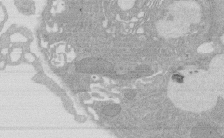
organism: Rat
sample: Salivary granule